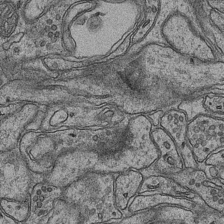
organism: Mouse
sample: CA1 Hippocampus